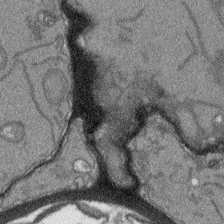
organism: Arabidopsis thaliana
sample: Root tip